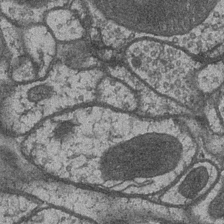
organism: Drosophila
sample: Optic medulla